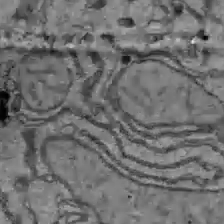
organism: C57BL Mouse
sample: Liver